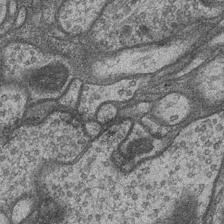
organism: Drosophila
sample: Optic medulla